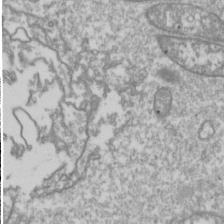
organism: Drosophila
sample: Cell division; meiosis; drosophila spermatocytes